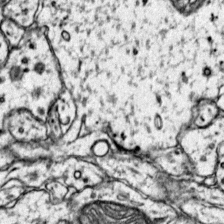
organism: Mouse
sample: Primary visual cortex